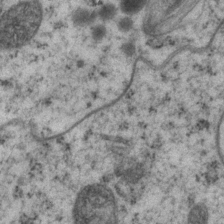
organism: P. pacificus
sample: Pharynx